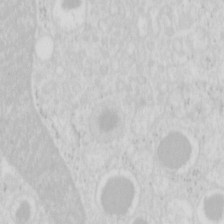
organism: Mouse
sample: Pancreas